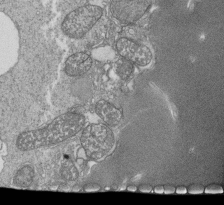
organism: Tetrahymena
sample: Cilia in tetrahymena